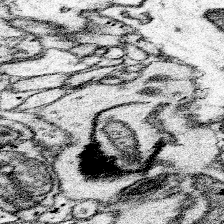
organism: Mouse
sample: Somatosensory cortex neuropil